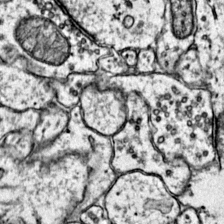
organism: Mouse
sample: Primary visual cortex